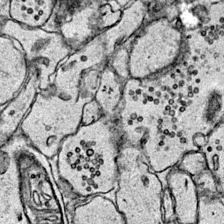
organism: Mouse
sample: Primary visual cortex